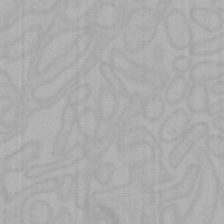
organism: Mouse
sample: Choroid plexus